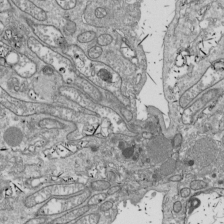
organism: Drosophila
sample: Cell division; meiosis; drosophila spermatocytes